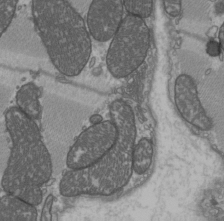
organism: C57BL Mouse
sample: Heart